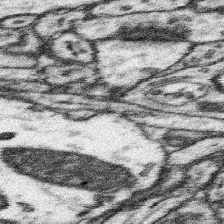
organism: Mouse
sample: Somatosensory cortex neuropil